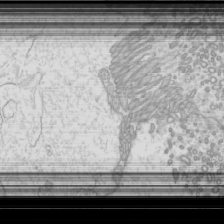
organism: Mouse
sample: Cilia; mouse epididymis